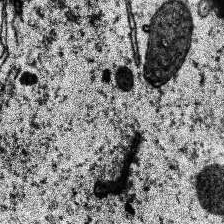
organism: Human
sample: Temporal Lobe